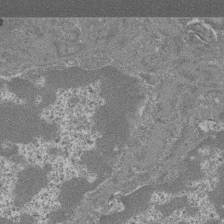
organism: Mouse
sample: Glomerulus